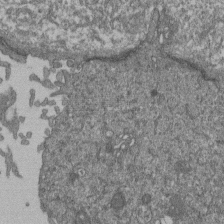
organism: Human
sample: Retinal organoid Rod and Cone cells